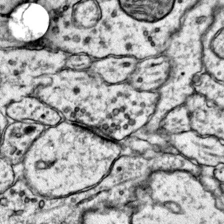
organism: Mouse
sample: Primary visual cortex